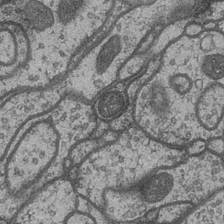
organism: Drosophila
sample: Optic medulla